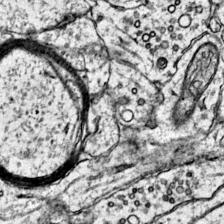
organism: Mouse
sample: Primary visual cortex